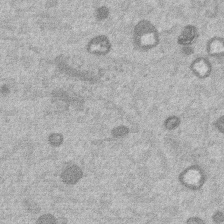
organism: Mouse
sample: Dividing mouse embryo 1 cell stage